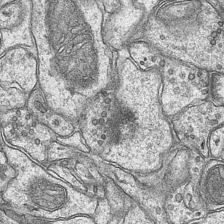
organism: Mouse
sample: CA1 Hippocampus